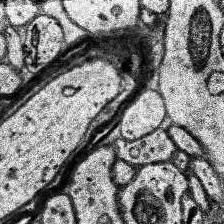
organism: Human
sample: Temporal Lobe